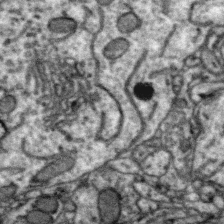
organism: Zebra finch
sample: Brain